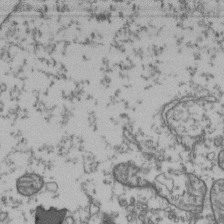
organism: Human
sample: Activated Jurkat CD4+ T cells